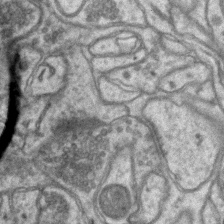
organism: Mouse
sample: CA1 Hippocampus